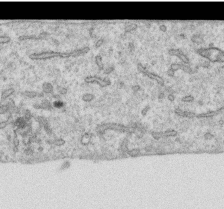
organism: Human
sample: Centriole in RPE cells